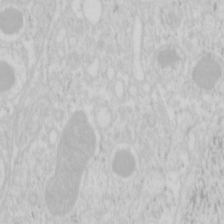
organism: Mouse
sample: Pancreas